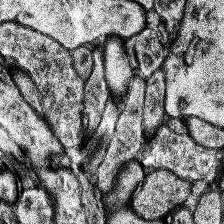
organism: Human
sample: Temporal Lobe